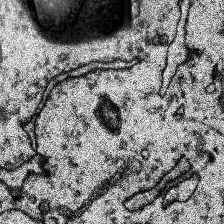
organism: Human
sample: Temporal Lobe